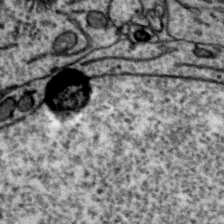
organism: Zebra finch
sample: Brain